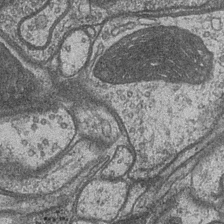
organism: Drosophila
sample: Optic medulla